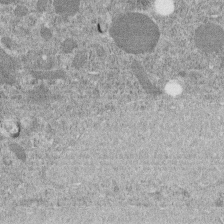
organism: C. elegans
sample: C. elegans embryo early stage